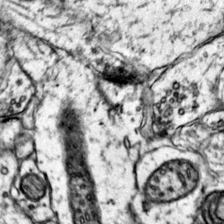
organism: Mouse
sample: Primary visual cortex